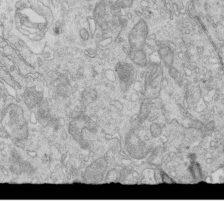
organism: Mouse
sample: Multiciliated cells